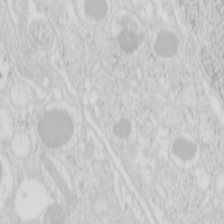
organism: Mouse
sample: Pancreas